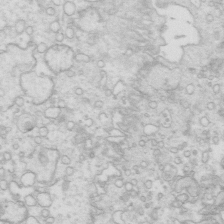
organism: Mouse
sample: Multiciliated cells